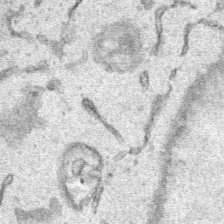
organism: Human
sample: Mitochondria in HCT116 cells